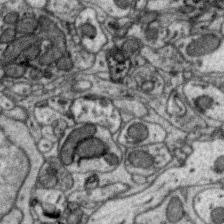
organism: Zebra finch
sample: Brain